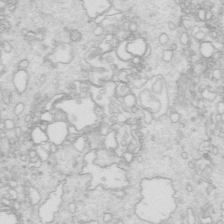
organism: Mouse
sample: Multiciliated cells